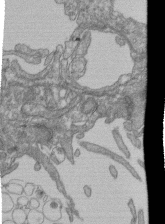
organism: Human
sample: Retinal organoid Rod and Cone cells